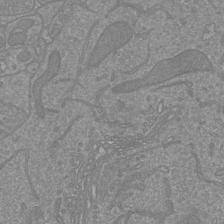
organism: Mouse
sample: Cortical neurons